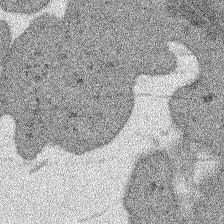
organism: Human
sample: HeLa cells